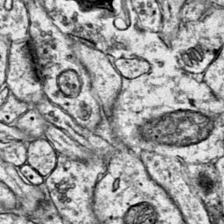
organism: Mouse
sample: Primary visual cortex